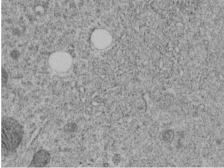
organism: C. elegans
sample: C. elegans embryo early stage